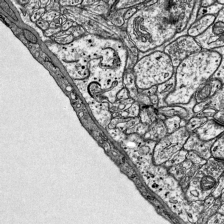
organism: Mouse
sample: Visual Cortex